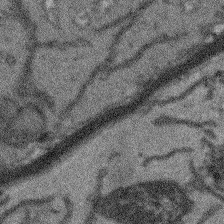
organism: Arabidopsis thaliana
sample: Root tip